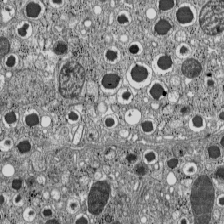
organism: C57BL Mouse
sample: Pancreatic islet